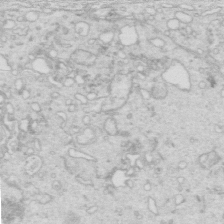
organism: Mouse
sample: Multiciliated cells